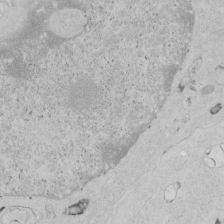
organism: Human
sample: Mitochondria in HCT116 cells